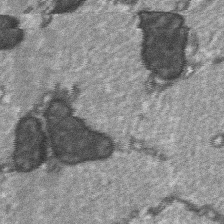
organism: C57BL Mouse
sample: Soleus